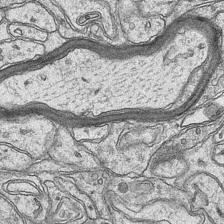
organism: Mouse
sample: CA1 Hippocampus